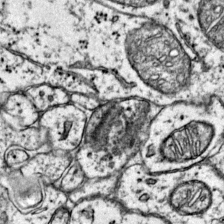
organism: Mouse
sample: Primary visual cortex